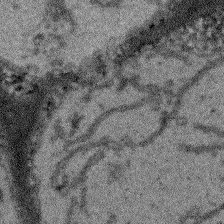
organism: Arabidopsis thaliana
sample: Root tip